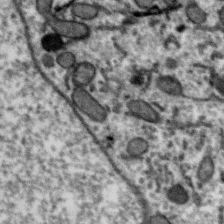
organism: Zebra finch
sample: Brain